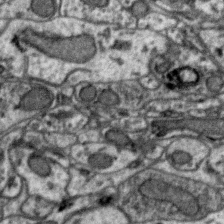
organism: Zebra finch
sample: Brain